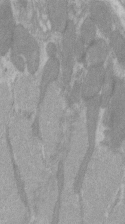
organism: C57BL Mouse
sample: Tibialis anterior muscle cell